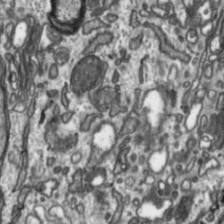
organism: Toxoplasma gondii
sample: Parasites in a vacuole inside a host cell